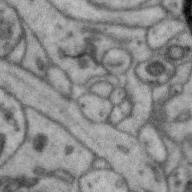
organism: Zebra finch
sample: Brain